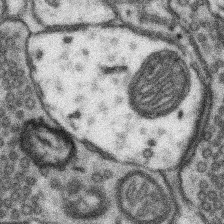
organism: Mouse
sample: Somatosensory cortex neuropil